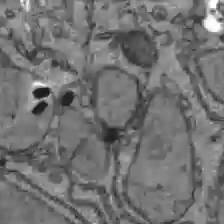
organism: C57BL Mouse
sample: Liver